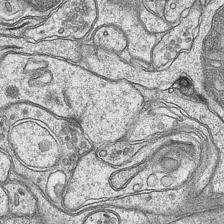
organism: Mouse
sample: CA1 Hippocampus